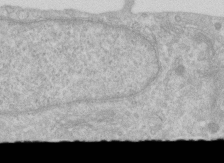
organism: Human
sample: Centriole in RPE cells